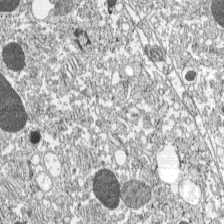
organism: C57BL Mouse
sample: Pancreatic islet